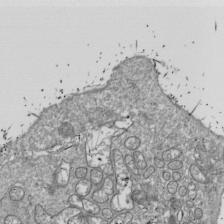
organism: Drosophila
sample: Cell division; meiosis; drosophila spermatocytes